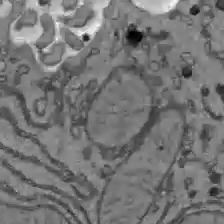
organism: C57BL Mouse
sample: Liver